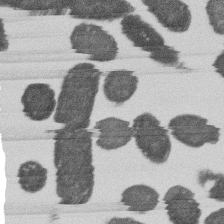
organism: E. coli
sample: Bacterial nucleoid